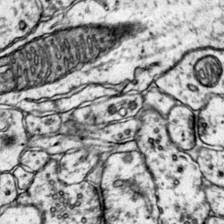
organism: Mouse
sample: Primary visual cortex